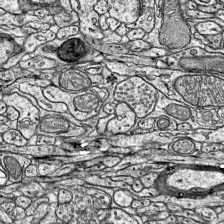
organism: Mouse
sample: Visual Cortex